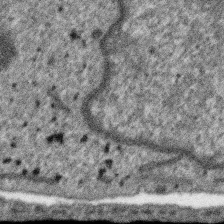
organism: Human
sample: Lung epithelial cells infected with SARS-CoV-2